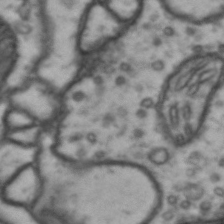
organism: Drosophila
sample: Brain